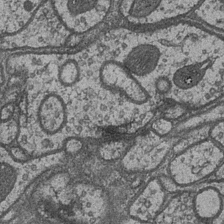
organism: Drosophila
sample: Optic medulla